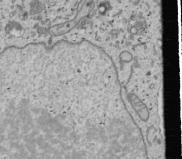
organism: Human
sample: Mitochondria in U2OS cells